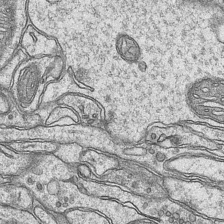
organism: Mouse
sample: CA1 Hippocampus